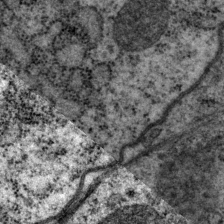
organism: P. pacificus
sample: Pharynx